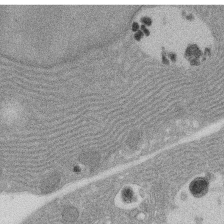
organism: Rat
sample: Salivary granule